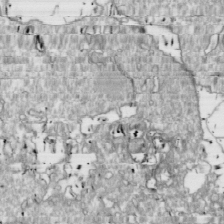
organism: Drosophila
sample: Cell division; meiosis; drosophila spermatocytes